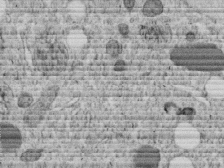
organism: C. elegans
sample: C. elegans embryo early stage